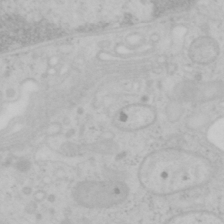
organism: Mouse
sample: OT-I killer T cells with ID8 ovarian cancer cells